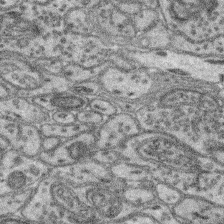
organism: Mouse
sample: Retina